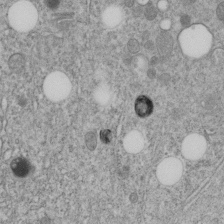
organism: C. elegans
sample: C. elegans embryo early stage